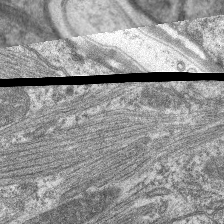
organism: C. elegans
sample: Pharynx